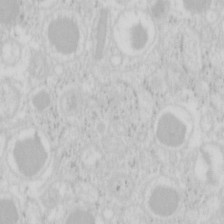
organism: Mouse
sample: Pancreas